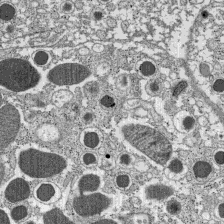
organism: C57BL Mouse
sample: Pancreatic islet